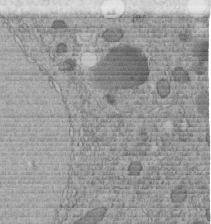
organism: C. elegans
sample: C. elegans embryo early stage